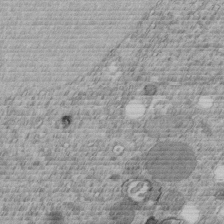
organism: C. elegans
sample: C. elegans embryo early stage